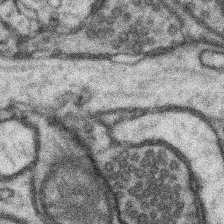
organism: Mouse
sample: Somatosensory cortex neuropil